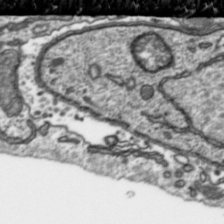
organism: Toxoplasma gondii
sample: Parasites in a vacuole inside a host cell